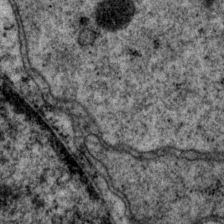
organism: P. pacificus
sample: Pharynx